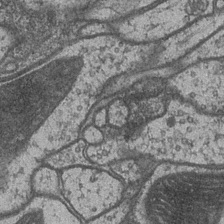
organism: Drosophila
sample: Optic medulla